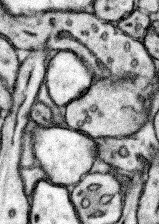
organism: Mouse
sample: Somatosensory cortex neuropil